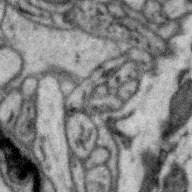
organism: Zebra finch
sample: Brain